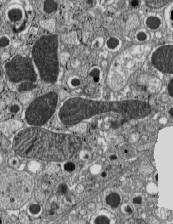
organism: C57BL Mouse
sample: Pancreatic islet